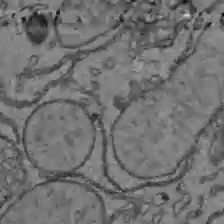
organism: C57BL Mouse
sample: Liver